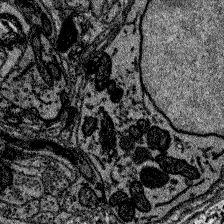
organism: Zebrafish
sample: Larval olfactory bulb